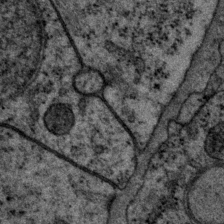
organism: P. pacificus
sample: Pharynx